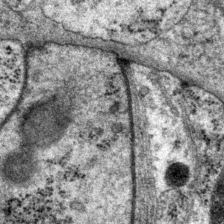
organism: P. pacificus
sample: Pharynx